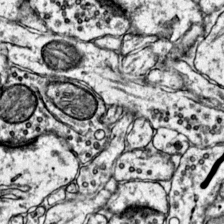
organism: Mouse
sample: Primary visual cortex